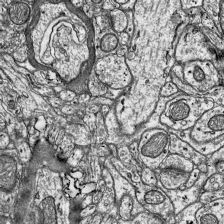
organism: Mouse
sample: Visual Cortex